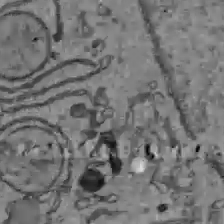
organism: C57BL Mouse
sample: Liver